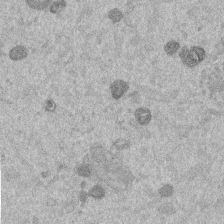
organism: Mouse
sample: Dividing mouse embryo 1 cell stage